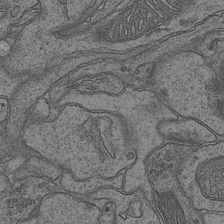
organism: Mouse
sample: CA1 Hippocampus